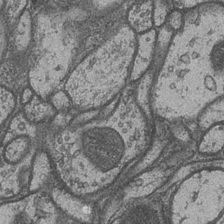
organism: Drosophila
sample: Optic medulla